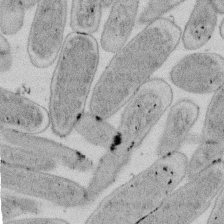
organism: E. coli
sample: Bacterial nucleoid